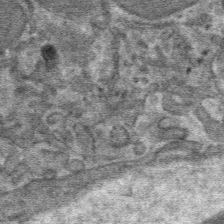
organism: Mouse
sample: Mouse hepatocytes